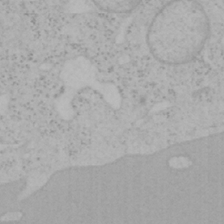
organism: Mouse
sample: OT-I killer T cells with ID8 ovarian cancer cells